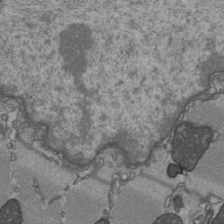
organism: C57BL Mouse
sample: Heart